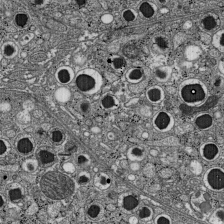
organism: C57BL Mouse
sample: Pancreatic islet